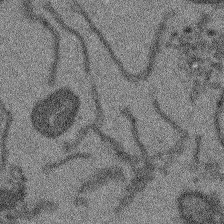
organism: Arabidopsis thaliana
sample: Root tip